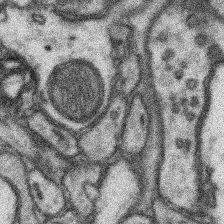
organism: Mouse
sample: Somatosensory cortex neuropil